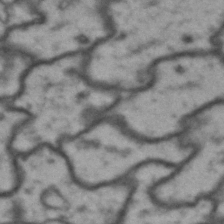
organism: Drosophila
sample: Brain